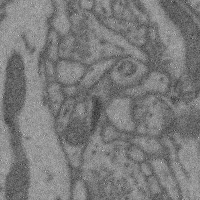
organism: Mouse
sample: Cerebral cortex